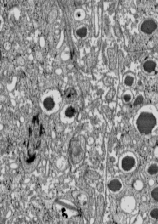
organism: C57BL Mouse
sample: Pancreatic islet